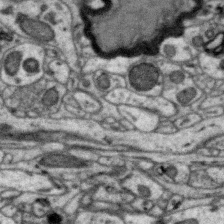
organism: Zebra finch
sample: Brain